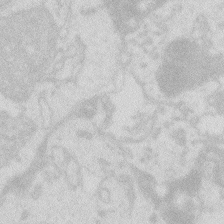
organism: Zebrafish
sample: Macrophage